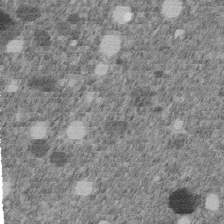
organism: C. elegans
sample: C. elegans embryo early stage